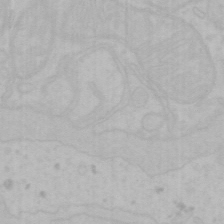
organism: Mouse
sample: Choroid plexus